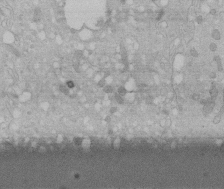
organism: Human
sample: Melanocyte Keratinocyte synapse skin construct